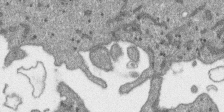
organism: Human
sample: Lung epithelial cells infected with SARS-CoV-2